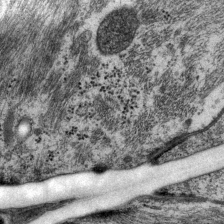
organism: P. pacificus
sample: Pharynx